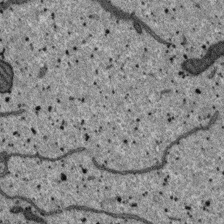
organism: Human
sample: Lung epithelial cells, uninfected (mock) control